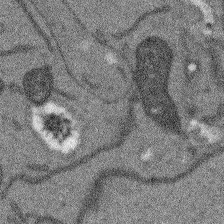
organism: Arabidopsis thaliana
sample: Root tip